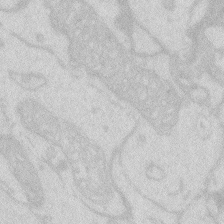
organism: Zebrafish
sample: Macrophage